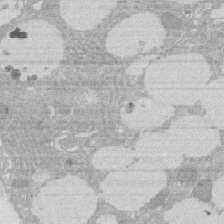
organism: Rat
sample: Salivary granule